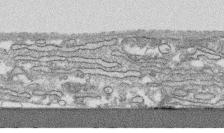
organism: Human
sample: CRL-1474